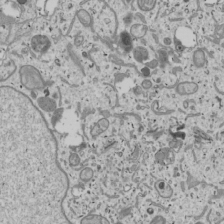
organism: Human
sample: Mitochondria in U2OS cells